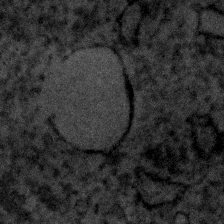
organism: Human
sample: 1205lu cells